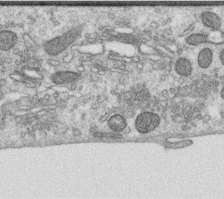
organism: Human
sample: Centriole in RPE cells